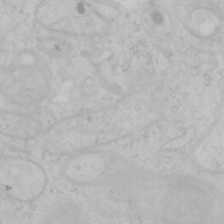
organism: Mouse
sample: OT-I killer T cells with ID8 ovarian cancer cells